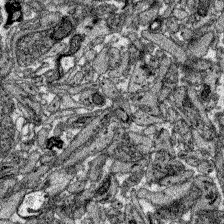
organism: Zebrafish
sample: Larval olfactory bulb